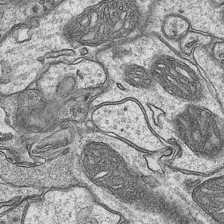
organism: Mouse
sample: CA1 Hippocampus